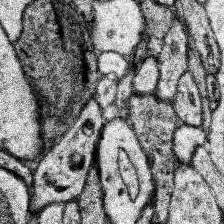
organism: Human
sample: Temporal Lobe